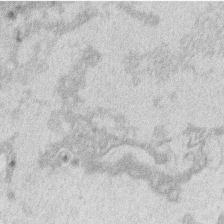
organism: Human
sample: Macrophage cells